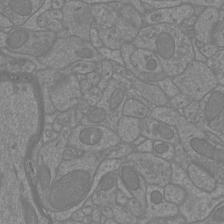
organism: Mouse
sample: Cortical neurons